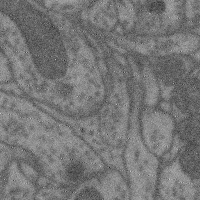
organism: Mouse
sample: Cerebral cortex